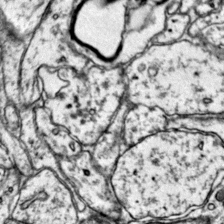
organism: Mouse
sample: Primary visual cortex